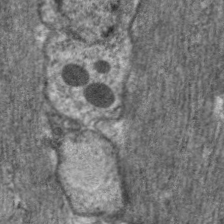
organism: C. elegans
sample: Pharynx